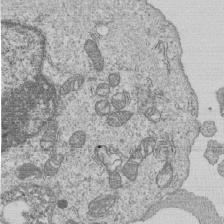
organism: Human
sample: MDA-MB-231 cells